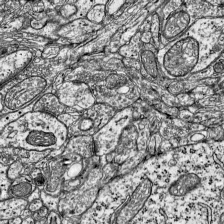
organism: Mouse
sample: Visual Cortex